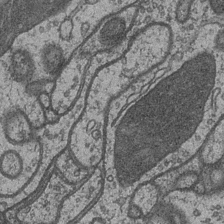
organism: Drosophila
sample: Optic medulla